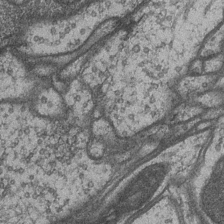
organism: Drosophila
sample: Optic medulla